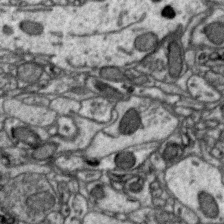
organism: Zebra finch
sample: Brain